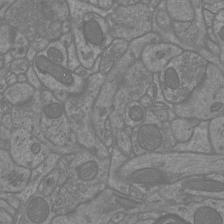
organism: Mouse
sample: Cortical neurons